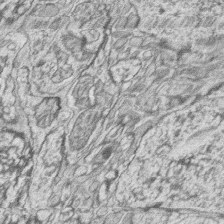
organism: Zebrafish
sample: synaptic ribbons in rod cells and cone cells